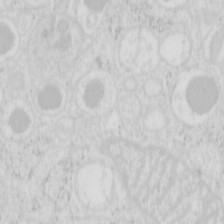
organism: Mouse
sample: Pancreas